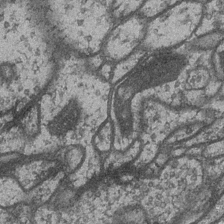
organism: Drosophila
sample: Optic medulla